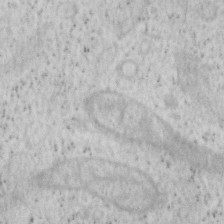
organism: Human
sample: HeLa cells